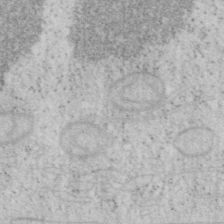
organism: Human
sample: HeLa cells